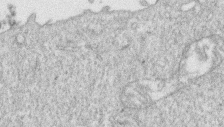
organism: Human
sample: HeLa cell HIV synapse